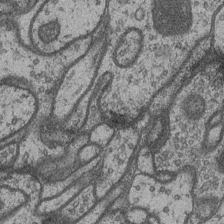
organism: Drosophila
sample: Optic medulla